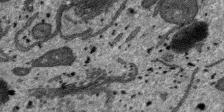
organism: Human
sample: Lung epithelial cells, uninfected (mock) control